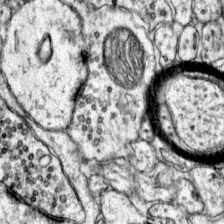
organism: Mouse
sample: Primary visual cortex